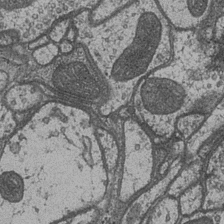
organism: Drosophila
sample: Optic medulla